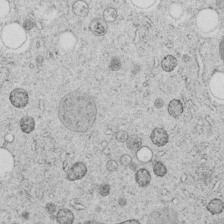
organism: C. elegans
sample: C. elegans embryo early stage